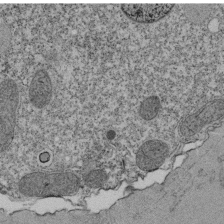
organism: Tetrahymena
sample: Cilia in tetrahymena